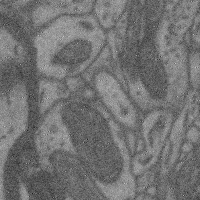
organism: Mouse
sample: Cerebral cortex